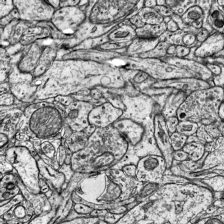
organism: Mouse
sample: Visual Cortex